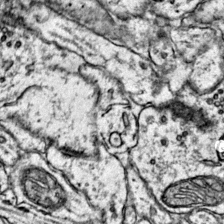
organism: Mouse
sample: Primary visual cortex